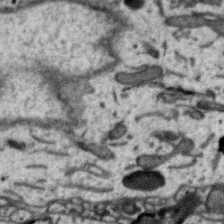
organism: Zebra finch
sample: Brain